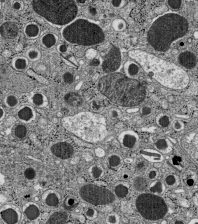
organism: C57BL Mouse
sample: Pancreatic islet